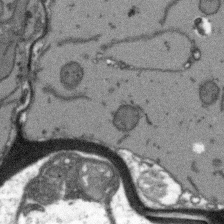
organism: Arabidopsis thaliana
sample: Root tip